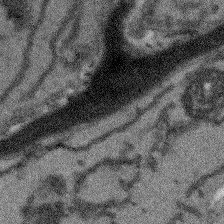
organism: Arabidopsis thaliana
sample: Root tip